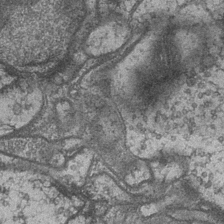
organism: Drosophila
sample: Optic medulla